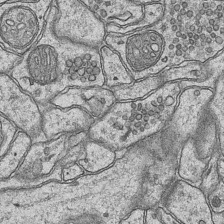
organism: Mouse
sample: CA1 Hippocampus